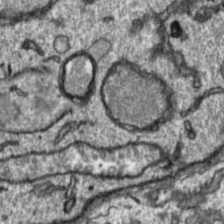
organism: Toxoplasma gondii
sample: Parasites in a vacuole inside a host cell